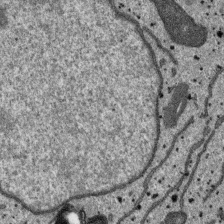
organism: Human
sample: Lung epithelial cells, uninfected (mock) control